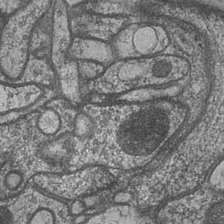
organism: Drosophila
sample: Optic medulla